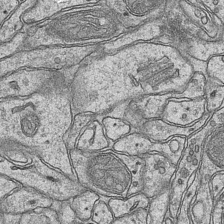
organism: Mouse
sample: CA1 Hippocampus